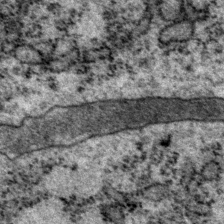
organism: P. pacificus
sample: Pharynx